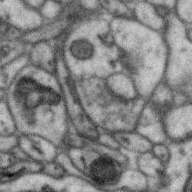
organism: Zebra finch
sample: Brain